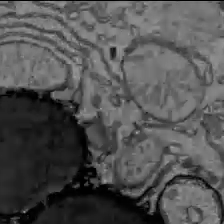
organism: C57BL Mouse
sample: Liver